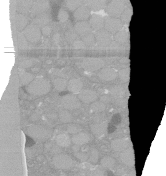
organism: C. elegans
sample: C. elegans oocyte; sperm cells